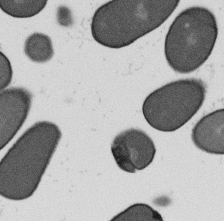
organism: B. subtilis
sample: Bacterial spore